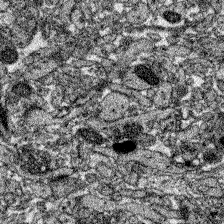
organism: Zebrafish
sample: Larval olfactory bulb